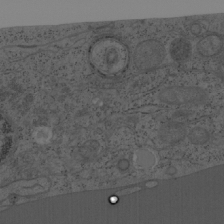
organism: Human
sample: HeLa cells